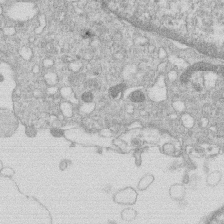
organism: Human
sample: Macrophage cells